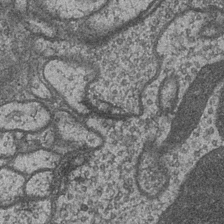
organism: Drosophila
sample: Optic medulla